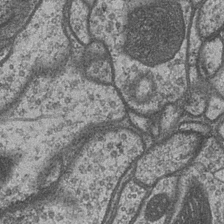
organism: Drosophila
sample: Optic medulla